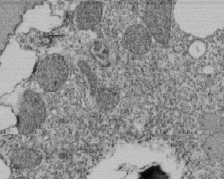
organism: Tetrahymena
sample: Cilia in tetrahymena